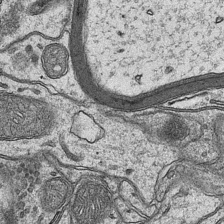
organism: Mouse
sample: CA1 Hippocampus